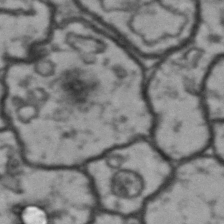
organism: Drosophila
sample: Brain